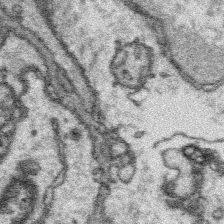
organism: Platynereis dumerilii